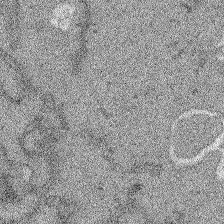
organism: Human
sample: HeLa cells